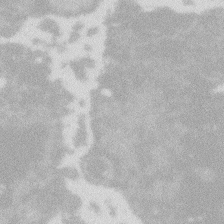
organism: Zebrafish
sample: Macrophage